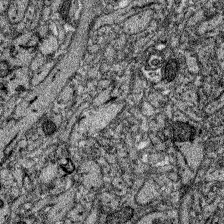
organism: Zebrafish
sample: Larval olfactory bulb